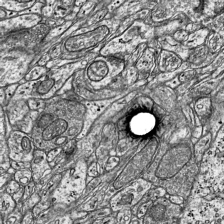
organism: Mouse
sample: Visual Cortex